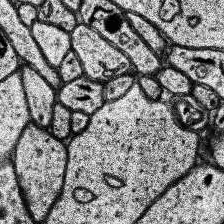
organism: Human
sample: Temporal Lobe